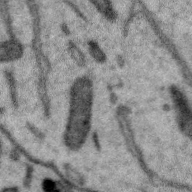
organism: Zebra finch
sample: Brain